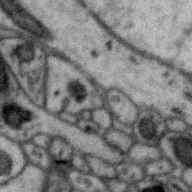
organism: Zebra finch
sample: Brain